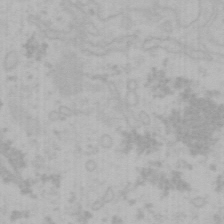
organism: Mouse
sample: Choroid plexus